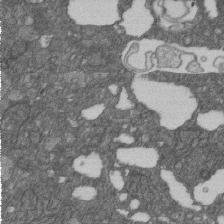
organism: Drosophila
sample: Nephrocyte